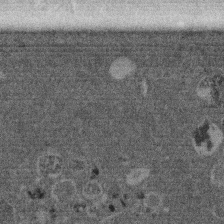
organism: Mouse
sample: Dividing mouse embryo 1 cell stage